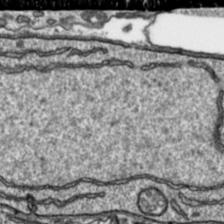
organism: Toxoplasma gondii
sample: Parasites in a vacuole inside a host cell